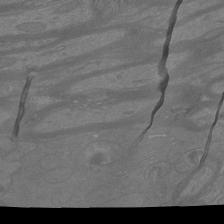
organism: Mouse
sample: Cortical neurons